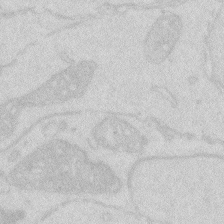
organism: Zebrafish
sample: Macrophage